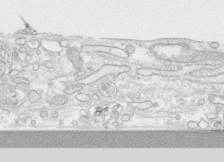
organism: Human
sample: CRL-1474